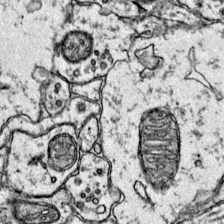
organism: Mouse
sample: Primary visual cortex